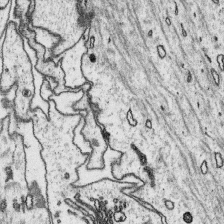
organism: Platynereis dumerilii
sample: Parapodia